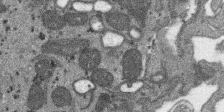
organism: Human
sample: Lung epithelial cells infected with SARS-CoV-2